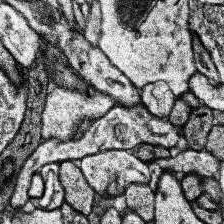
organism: Human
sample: Temporal Lobe